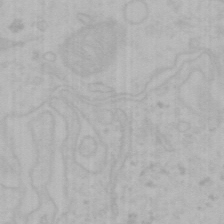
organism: Mouse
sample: Choroid plexus